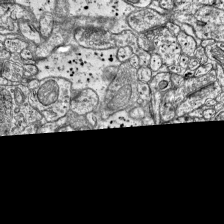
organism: Mouse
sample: Visual Cortex